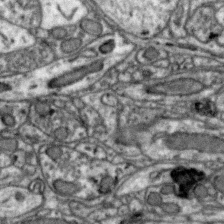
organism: Zebra finch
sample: Brain